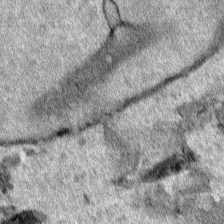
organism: Human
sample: Mitochondria in HCT116 cells